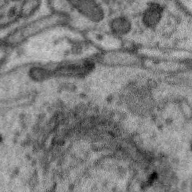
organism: Zebra finch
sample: Brain